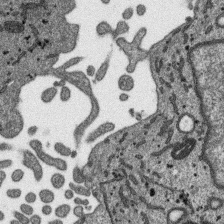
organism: Human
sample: Lung epithelial cells infected with SARS-CoV-2